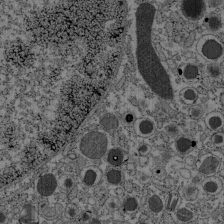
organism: C57BL Mouse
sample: Pancreatic islet